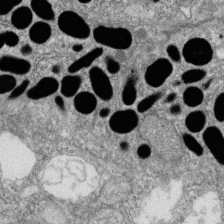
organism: Zebrafish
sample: Cilia; retinal pigment epithelium